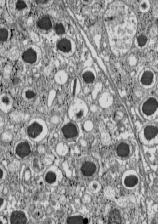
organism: C57BL Mouse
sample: Pancreatic islet